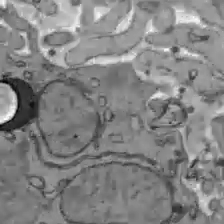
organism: C57BL Mouse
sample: Liver